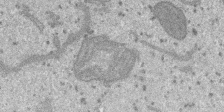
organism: Human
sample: Lung epithelial cells infected with SARS-CoV-2